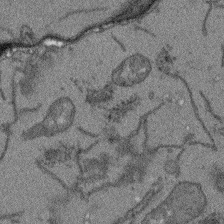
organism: Arabidopsis thaliana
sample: Root tip